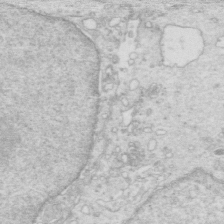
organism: Mouse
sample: Multiciliated cells